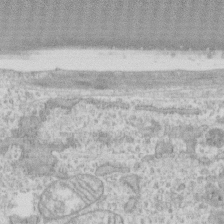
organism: Human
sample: CRL-1474